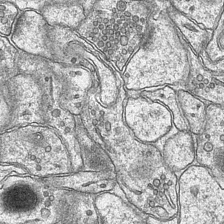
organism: Mouse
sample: CA1 Hippocampus